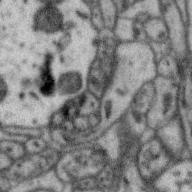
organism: Zebra finch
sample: Brain